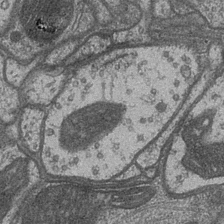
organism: Drosophila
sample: Optic medulla